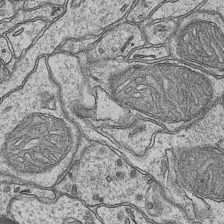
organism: Mouse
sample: CA1 Hippocampus